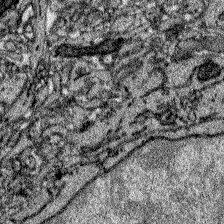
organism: Zebrafish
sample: Larval olfactory bulb